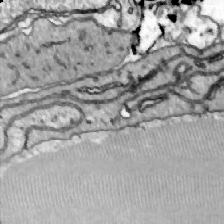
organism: Zebrafish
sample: Actinotrichia fibers